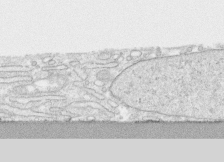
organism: Human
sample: CRL-1474